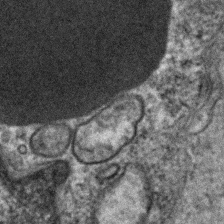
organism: Human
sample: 1205lu cells